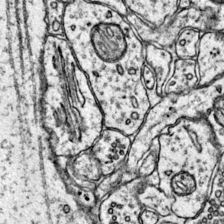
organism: Mouse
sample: Primary visual cortex